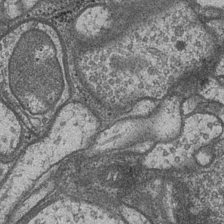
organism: Drosophila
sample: Optic medulla